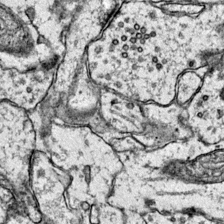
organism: Mouse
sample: Primary visual cortex